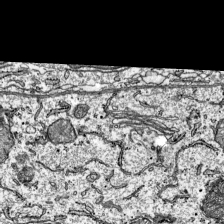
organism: Mouse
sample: Visual Cortex